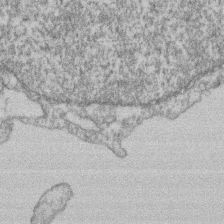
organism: Mouse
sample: T cell stromal cell synapse